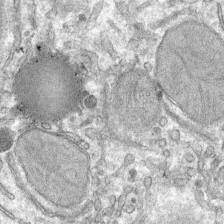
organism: Mouse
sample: Mouse hepatocytes